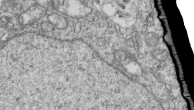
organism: Human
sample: HeLa cell HIV synapse